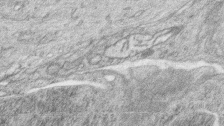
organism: Zebrafish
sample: synaptic ribbons in rod cells and cone cells